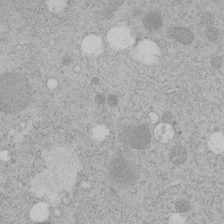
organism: C. elegans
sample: C. elegans embryo early stage